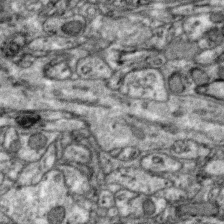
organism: Zebra finch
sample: Brain